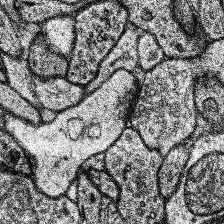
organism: Human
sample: Temporal Lobe